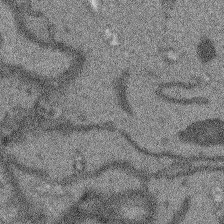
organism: Arabidopsis thaliana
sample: Root tip